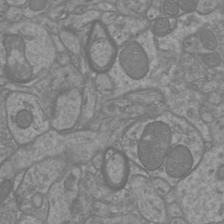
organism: Mouse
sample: Cortical neurons